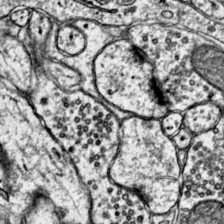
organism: Mouse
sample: Primary visual cortex